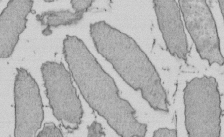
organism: E. coli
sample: Bacterial nucleoid